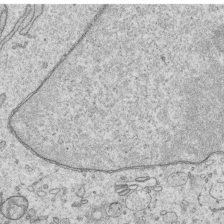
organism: Human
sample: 1205lu cells